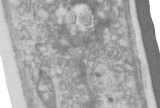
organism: Human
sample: Centriole in RPE cells